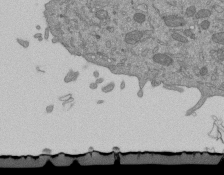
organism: Mouse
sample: ED-1 cell nuclei; centrioles